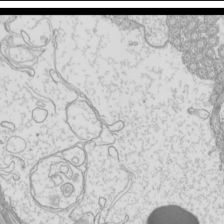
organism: Mouse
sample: Cilia; mouse epididymis